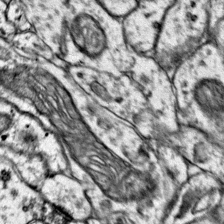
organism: Mouse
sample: Primary visual cortex